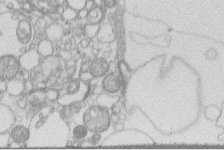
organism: Human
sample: Macrophage cells